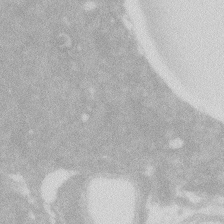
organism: Zebrafish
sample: Macrophage